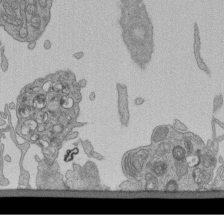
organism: Human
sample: Retinal organoid Rod and Cone cells